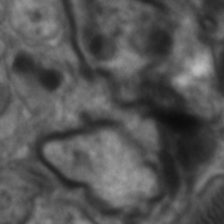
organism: C. elegans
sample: Pharynx